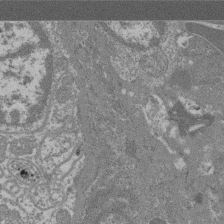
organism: Mouse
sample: Glomerulus